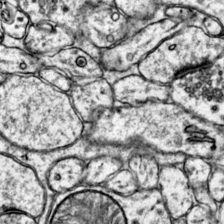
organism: Mouse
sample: Primary visual cortex